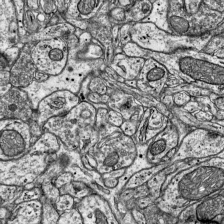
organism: Mouse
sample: Visual Cortex